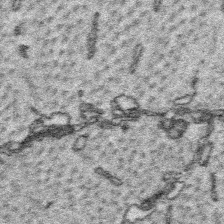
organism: Platynereis dumerilii